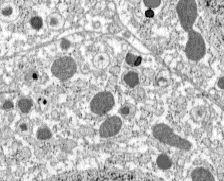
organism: C57BL Mouse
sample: Pancreatic islet